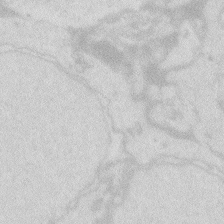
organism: Zebrafish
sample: Macrophage